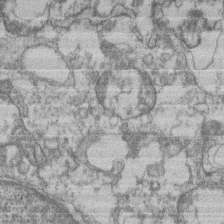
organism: Mouse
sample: T cell stromal cell synapse